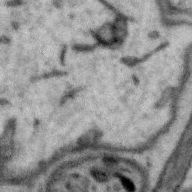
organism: Zebra finch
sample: Brain